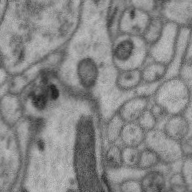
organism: Zebra finch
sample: Brain